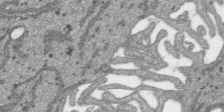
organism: Human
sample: Lung epithelial cells infected with SARS-CoV-2